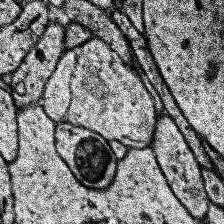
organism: Human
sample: Temporal Lobe